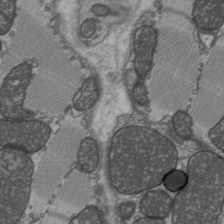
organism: C57BL Mouse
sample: Heart